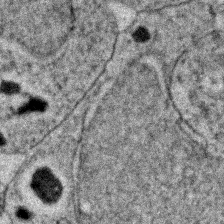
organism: Zebrafish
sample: Zebrafish embryo